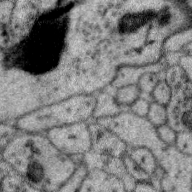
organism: Zebra finch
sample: Brain